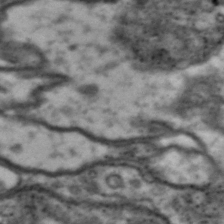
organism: Drosophila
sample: Brain